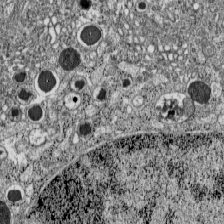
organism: C57BL Mouse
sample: Pancreatic islet